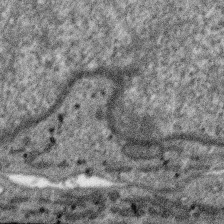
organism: Human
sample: Lung epithelial cells infected with SARS-CoV-2